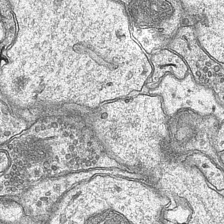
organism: Mouse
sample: CA1 Hippocampus